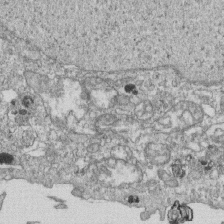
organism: Human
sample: HeLa cell HIV synapse